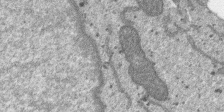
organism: Human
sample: Lung epithelial cells infected with SARS-CoV-2